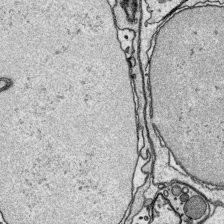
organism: Platynereis dumerilii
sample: Parapodia